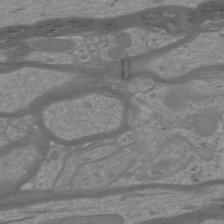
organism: Mouse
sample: Cortical neurons